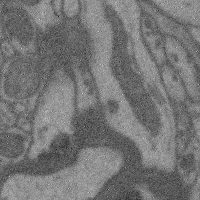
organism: Mouse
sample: Cerebral cortex